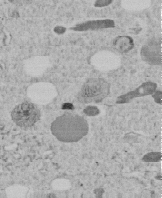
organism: C. elegans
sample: C. elegans embryo early stage